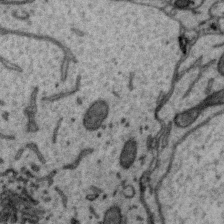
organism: Zebra finch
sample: Brain